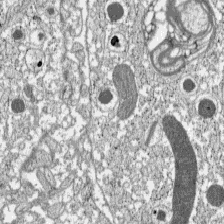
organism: C57BL Mouse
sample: Pancreatic islet